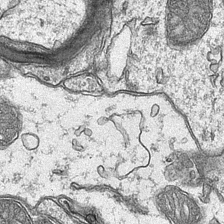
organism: Mouse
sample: CA1 Hippocampus